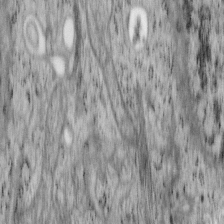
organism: Human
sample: HeLa cells